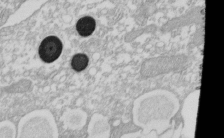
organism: Xenopus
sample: Cilia; centrioles in frog embryo cells